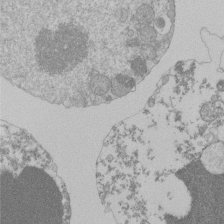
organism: Mouse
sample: Activated Pmel transgenic CD8+ T Cells